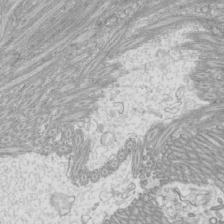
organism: Mouse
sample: Cilia; mouse epididymis